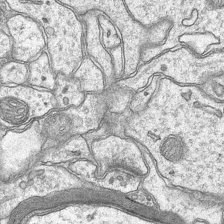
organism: Mouse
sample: CA1 Hippocampus